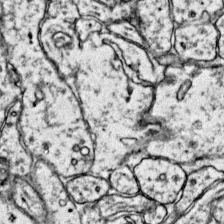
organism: Mouse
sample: Primary visual cortex